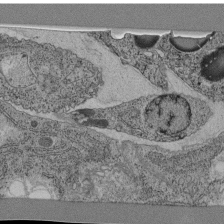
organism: C. elegans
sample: C. elegans pharynx